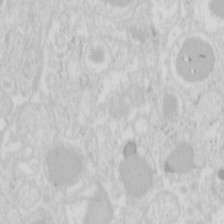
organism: Mouse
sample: Pancreas